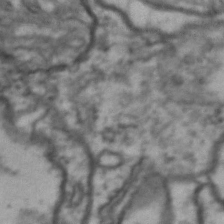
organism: Drosophila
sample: Brain